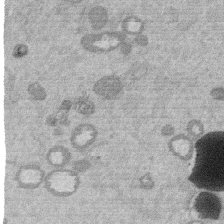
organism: Mouse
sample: Dividing mouse embryo 1 cell stage